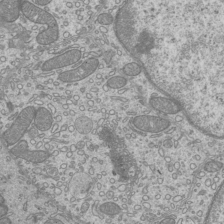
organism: Mouse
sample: Cilia; mouse epididymis